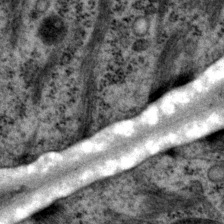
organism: P. pacificus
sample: Pharynx